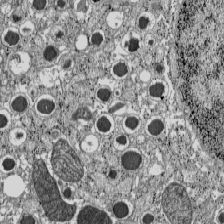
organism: C57BL Mouse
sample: Pancreatic islet